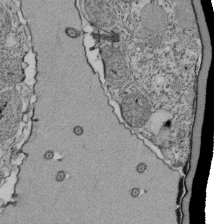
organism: Tetrahymena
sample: Cilia in tetrahymena